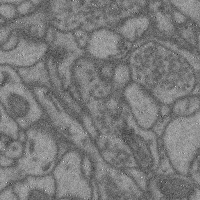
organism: Mouse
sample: Cerebral cortex